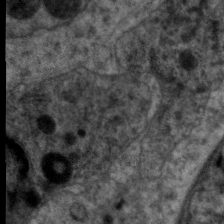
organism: C. elegans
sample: Pharynx